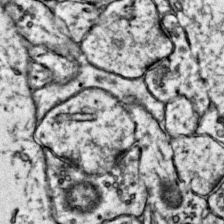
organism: Mouse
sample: Primary visual cortex